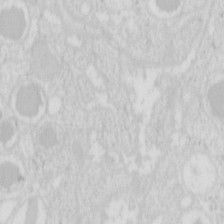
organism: Mouse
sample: Pancreas